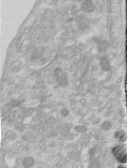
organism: Human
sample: Centriole in RPE cells